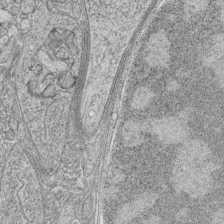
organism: Zebrafish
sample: synaptic ribbons in rod cells and cone cells